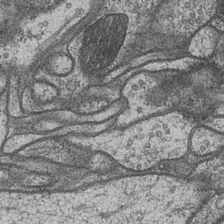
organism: Drosophila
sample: Optic medulla